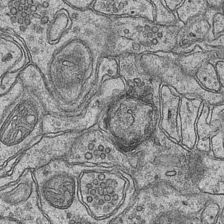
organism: Mouse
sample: CA1 Hippocampus